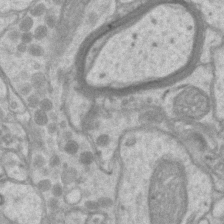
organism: Mouse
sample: CA1 Hippocampus